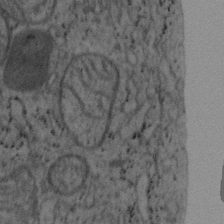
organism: Human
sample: HeLa cells